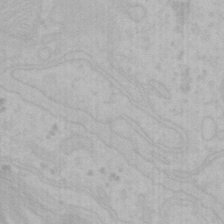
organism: Mouse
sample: Choroid plexus